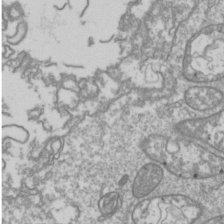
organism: Drosophila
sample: Cell division; meiosis; drosophila spermatocytes